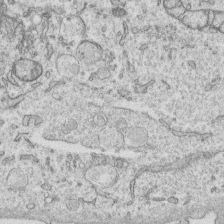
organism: Human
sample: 1205lu cells